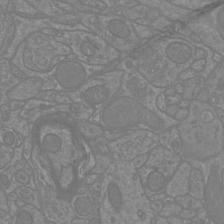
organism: Mouse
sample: Cortical neurons